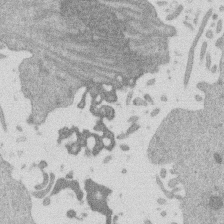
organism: Mouse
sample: Dividing mouse embryo 1 cell stage